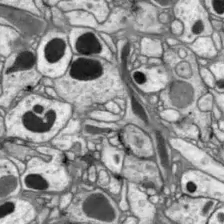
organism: Drosophila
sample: Optic lobe